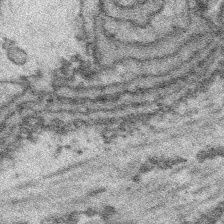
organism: Platynereis dumerilii